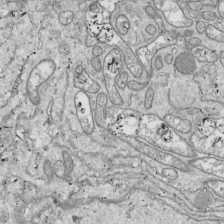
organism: Drosophila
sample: Cell division; meiosis; drosophila spermatocytes